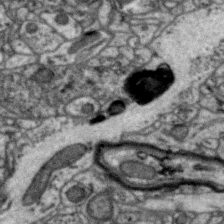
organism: Zebra finch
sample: Brain